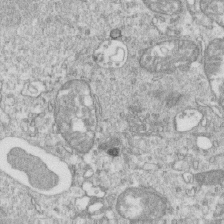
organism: Mouse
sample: Activated OT-1 CD8+ T cells